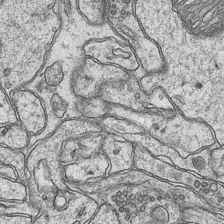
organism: Mouse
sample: CA1 Hippocampus